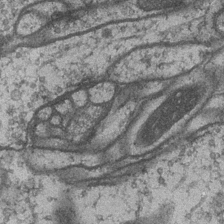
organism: Drosophila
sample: Optic medulla